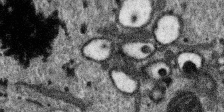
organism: Human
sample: Lung epithelial cells infected with SARS-CoV-2